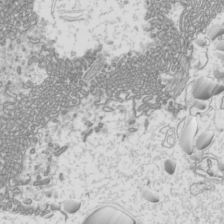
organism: Mouse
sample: Cilia; mouse epididymis